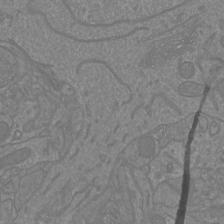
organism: Mouse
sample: Cortical neurons